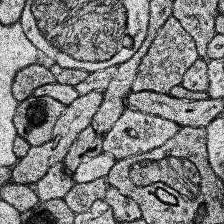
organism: Human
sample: Temporal Lobe